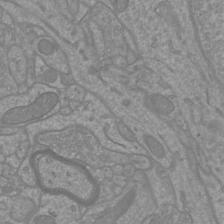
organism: Mouse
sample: Cortical neurons